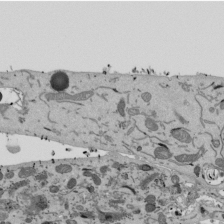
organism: Mouse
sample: ED-1 cell nuclei; centrioles